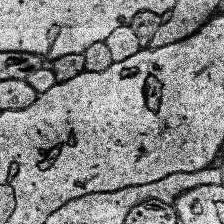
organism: Human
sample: Temporal Lobe